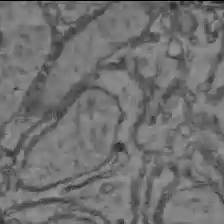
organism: C57BL Mouse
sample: Liver